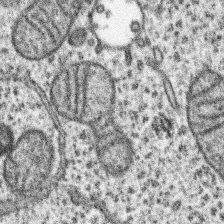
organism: Human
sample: HeLa cells